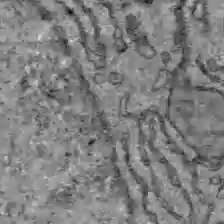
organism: C57BL Mouse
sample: Liver